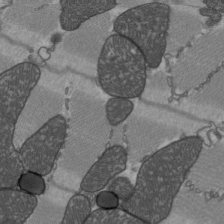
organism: C57BL Mouse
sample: Heart